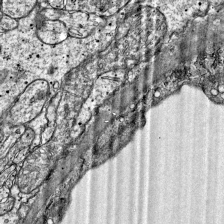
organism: Mouse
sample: Visual Cortex